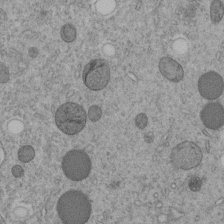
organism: C. elegans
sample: C. elegans embryo early stage